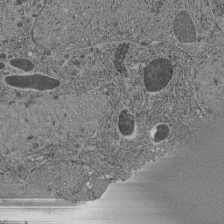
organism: C. elegans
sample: C. elegans pharynx